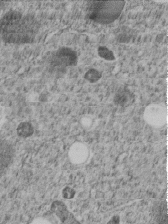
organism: C. elegans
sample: C. elegans embryo early stage